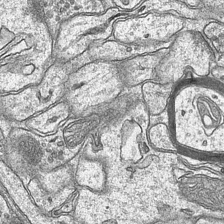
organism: Mouse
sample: CA1 Hippocampus